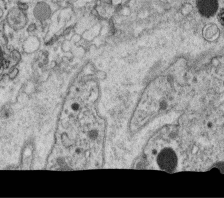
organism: C. elegans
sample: C. elegans oocyte; sperm cells